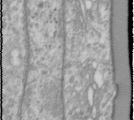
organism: Human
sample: Cilia; basal body in RPE cells